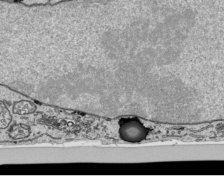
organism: Human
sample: Mitochondria in HCT116 cells